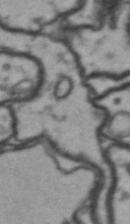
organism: Drosophila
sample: Brain